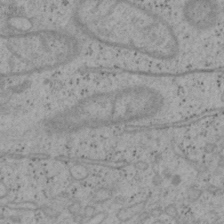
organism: Human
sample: HeLa cells